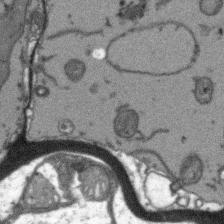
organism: Arabidopsis thaliana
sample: Root tip